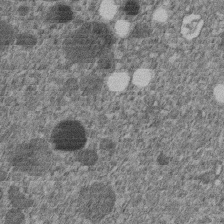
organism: C. elegans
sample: C. elegans embryo early stage